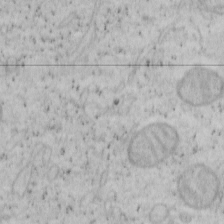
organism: Human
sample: HeLa cells